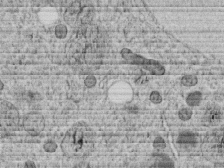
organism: C. elegans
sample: C. elegans embryo early stage